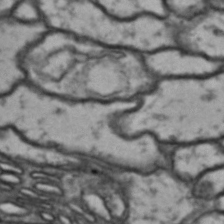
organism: Drosophila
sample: Brain